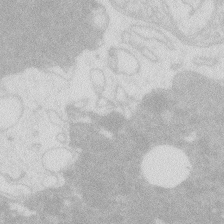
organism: Zebrafish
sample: Macrophage